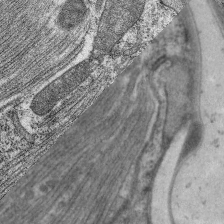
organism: C. elegans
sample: Pharynx